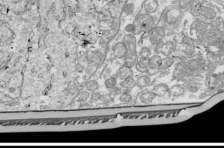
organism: Drosophila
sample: Cell division; meiosis; drosophila spermatocytes